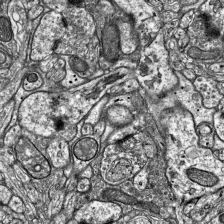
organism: Mouse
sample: Visual Cortex